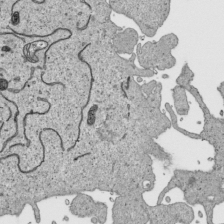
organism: Human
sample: Mitochondria in HCT116 cells